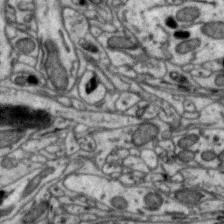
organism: Zebra finch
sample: Brain